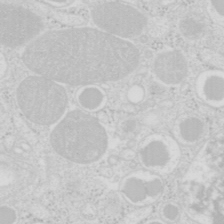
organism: Mouse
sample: Pancreas